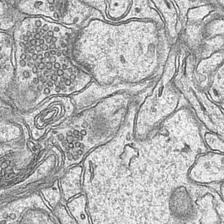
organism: Mouse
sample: CA1 Hippocampus